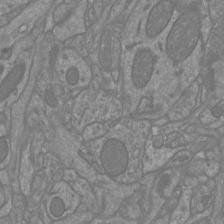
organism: Mouse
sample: Cortical neurons